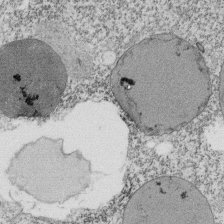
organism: Tetrahymena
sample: Cilia in tetrahymena